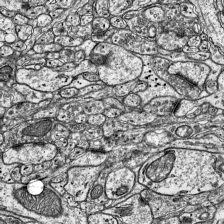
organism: Mouse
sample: Visual Cortex